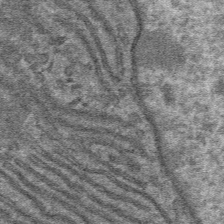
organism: Mouse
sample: Mouse hepatocytes